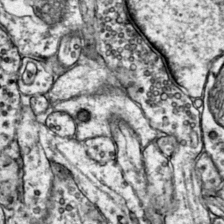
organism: Mouse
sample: Primary visual cortex